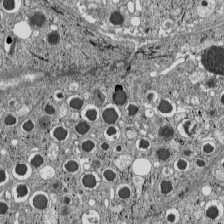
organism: C57BL Mouse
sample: Pancreatic islet